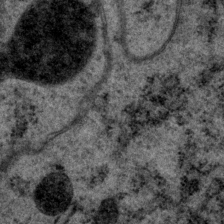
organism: P. pacificus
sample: Pharynx